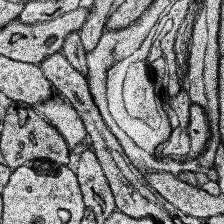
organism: Human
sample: Temporal Lobe